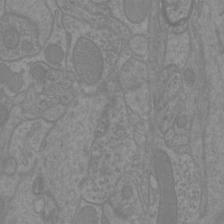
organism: Mouse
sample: Cortical neurons